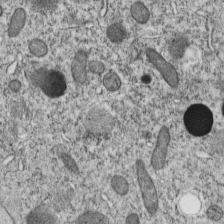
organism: C. elegans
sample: C. elegans embryo early stage